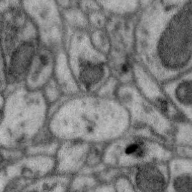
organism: Zebra finch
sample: Brain